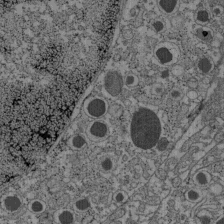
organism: C57BL Mouse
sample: Pancreatic islet